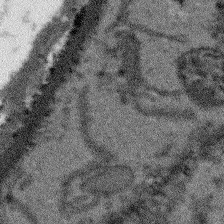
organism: Arabidopsis thaliana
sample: Root tip